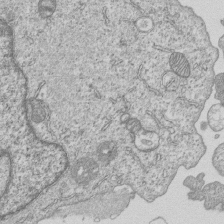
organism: Human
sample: MDA-MB-231 cells